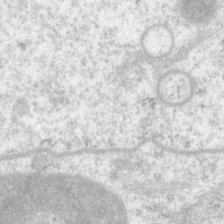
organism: P. pacificus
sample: Pharynx